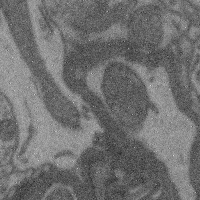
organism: Mouse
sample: Cerebral cortex